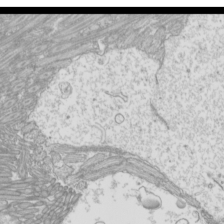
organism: Mouse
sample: Cilia; mouse epididymis